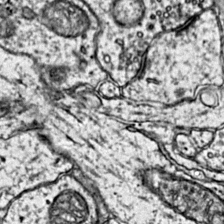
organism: Mouse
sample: Primary visual cortex